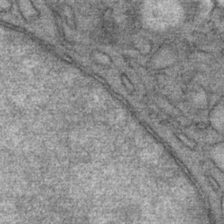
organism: Mouse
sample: Mouse Salivary gland